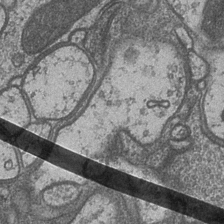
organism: Drosophila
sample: Optic medulla